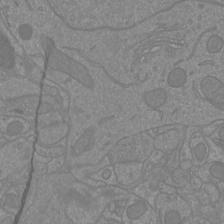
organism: Mouse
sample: Cortical neurons